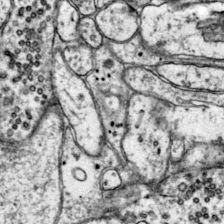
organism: Mouse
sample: Primary visual cortex